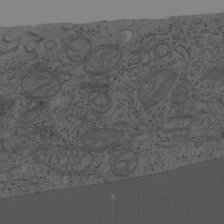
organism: Human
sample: HeLa cells